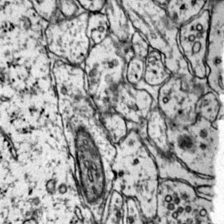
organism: Mouse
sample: Primary visual cortex